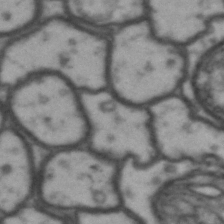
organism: Drosophila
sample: Brain